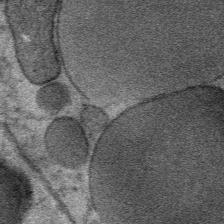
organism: Mouse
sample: Mouse Salivary gland